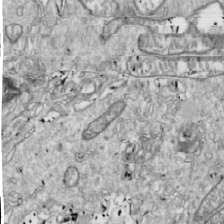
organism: Drosophila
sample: Cell division; meiosis; drosophila spermatocytes